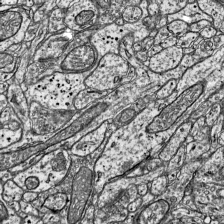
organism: Mouse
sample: Visual Cortex